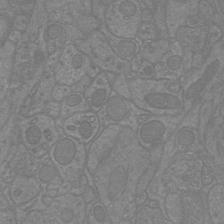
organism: Mouse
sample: Cortical neurons